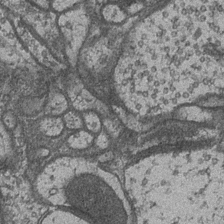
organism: Drosophila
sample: Optic medulla